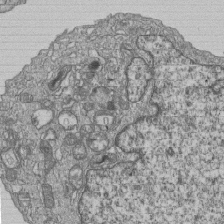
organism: Human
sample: MDA-MB-231 cells